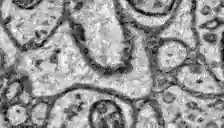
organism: Zebrafish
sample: Brain